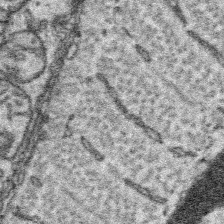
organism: Platynereis dumerilii